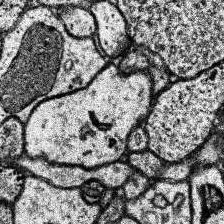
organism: Human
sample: Temporal Lobe